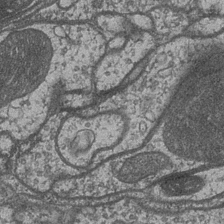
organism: Drosophila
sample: Optic medulla